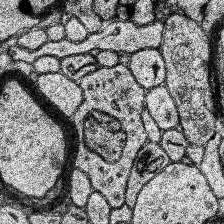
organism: Human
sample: Temporal Lobe